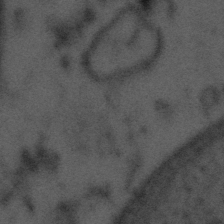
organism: Tuwongella immobilis